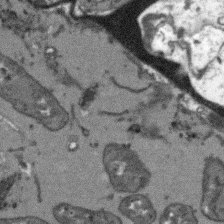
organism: Arabidopsis thaliana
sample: Root tip